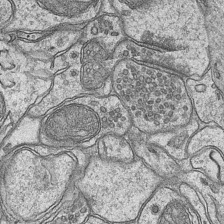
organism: Mouse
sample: CA1 Hippocampus